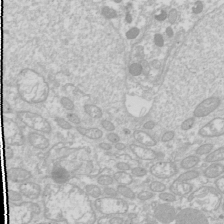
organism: Drosophila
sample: Cell division; meiosis; drosophila spermatocytes